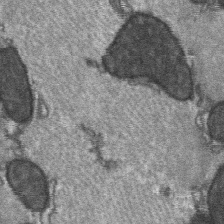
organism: C57BL Mouse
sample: Soleus